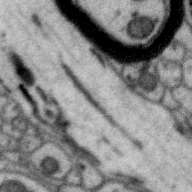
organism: Zebra finch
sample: Brain